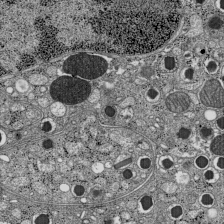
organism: C57BL Mouse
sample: Pancreatic islet